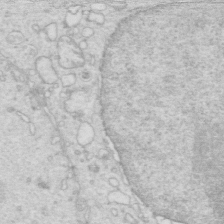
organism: Mouse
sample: Multiciliated cells